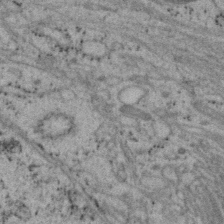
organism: Human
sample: HeLa cells